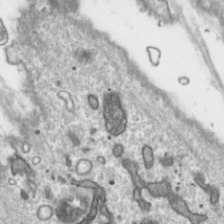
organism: Toxoplasma gondii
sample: Parasites in a vacuole inside a host cell